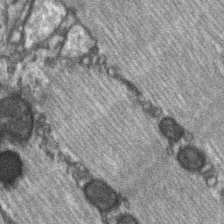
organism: C57BL Mouse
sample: Soleus